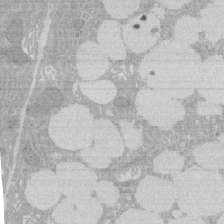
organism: Rat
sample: Salivary granule